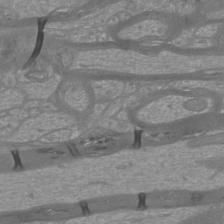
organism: Mouse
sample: Cortical neurons